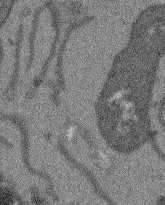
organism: Arabidopsis thaliana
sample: Root tip